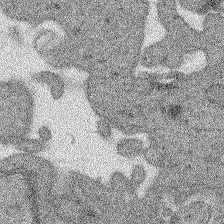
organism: Human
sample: HeLa cells